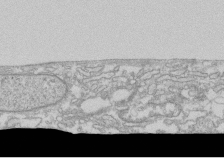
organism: Human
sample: CRL-1474